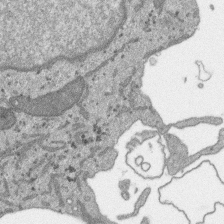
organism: Human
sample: Lung epithelial cells infected with SARS-CoV-2